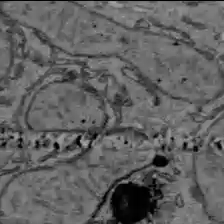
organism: C57BL Mouse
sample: Liver